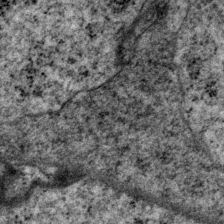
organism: P. pacificus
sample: Pharynx